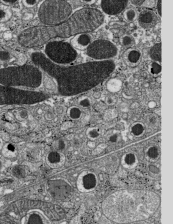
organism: C57BL Mouse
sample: Pancreatic islet